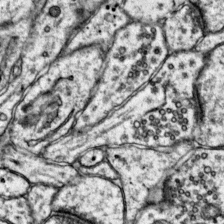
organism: Mouse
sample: Primary visual cortex